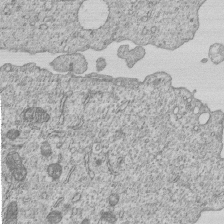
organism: Human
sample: MDA-MB-231 cells